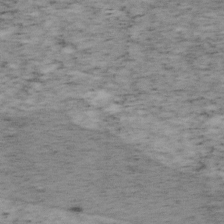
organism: Mouse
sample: OT-I killer T cells with ID8 ovarian cancer cells